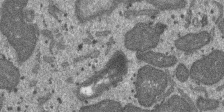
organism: Human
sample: Lung epithelial cells infected with SARS-CoV-2